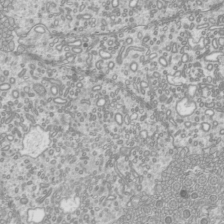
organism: Mouse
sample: Cilia; mouse epididymis